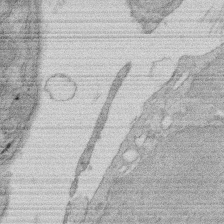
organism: Rat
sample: Salivary granule